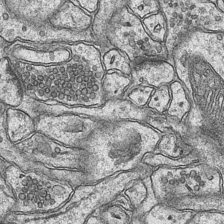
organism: Mouse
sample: CA1 Hippocampus